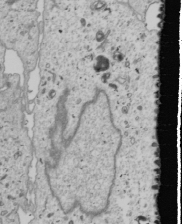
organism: Human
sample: Mitochondria in U2OS cells